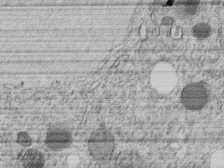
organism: C. elegans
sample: C. elegans embryo early stage